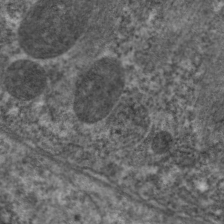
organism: C. elegans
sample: Pharynx